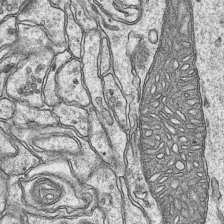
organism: Mouse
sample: CA1 Hippocampus